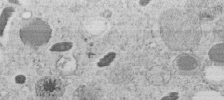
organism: C. elegans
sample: C. elegans embryo early stage